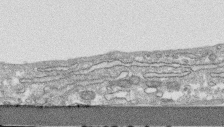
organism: Human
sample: CRL-1474